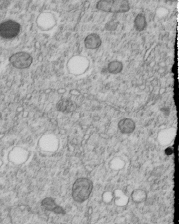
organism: C. elegans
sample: C. elegans embryo early stage